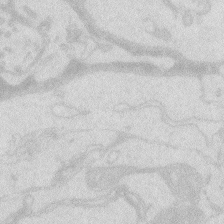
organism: Zebrafish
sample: Macrophage